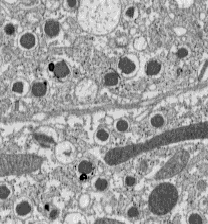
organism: C57BL Mouse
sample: Pancreatic islet